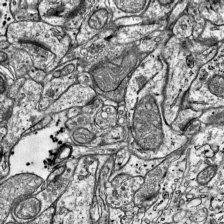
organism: Mouse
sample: Visual Cortex